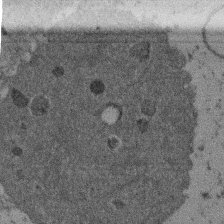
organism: Mouse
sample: Dividing mouse embryo 1 cell stage